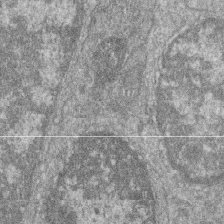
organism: Zebrafish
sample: Cilia; retinal pigment epithelium